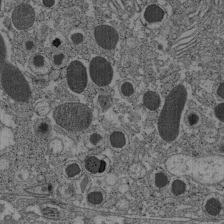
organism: C57BL Mouse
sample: Pancreatic islet